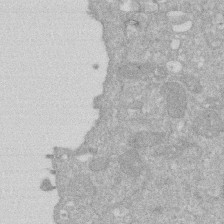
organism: Human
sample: HIV infected U937 cells